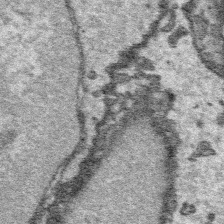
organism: Platynereis dumerilii